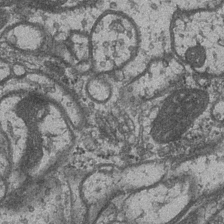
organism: Drosophila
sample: Optic medulla